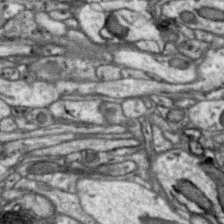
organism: Zebra finch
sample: Brain